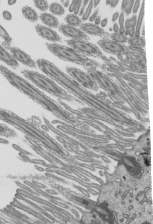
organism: Mouse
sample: Mouse epididymis efferent ductule cilia